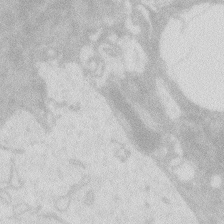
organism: Zebrafish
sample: Macrophage